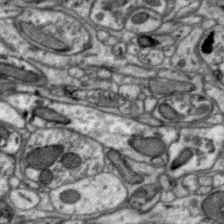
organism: Zebra finch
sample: Brain